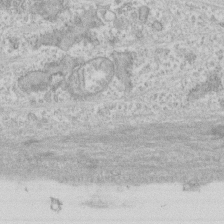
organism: Human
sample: CRL-1474